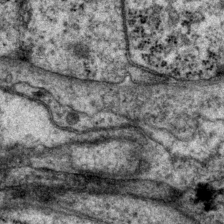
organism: P. pacificus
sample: Pharynx